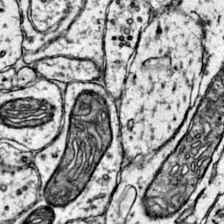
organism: Mouse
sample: Primary visual cortex